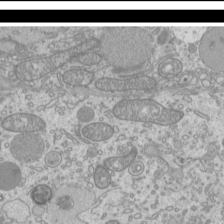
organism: Mouse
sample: Cilia; mouse epididymis